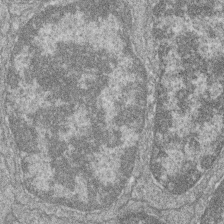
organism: Zebrafish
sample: Cilia; retinal pigment epithelium